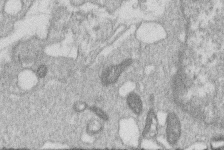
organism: Human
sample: Macrophage cells